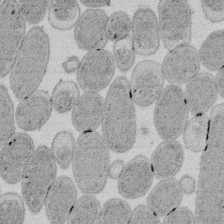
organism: E. coli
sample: Bacterial nucleoid